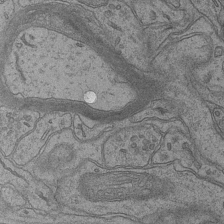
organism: Mouse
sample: CA1 Hippocampus